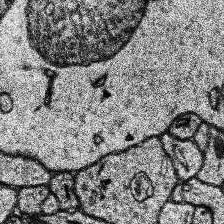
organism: Human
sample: Temporal Lobe